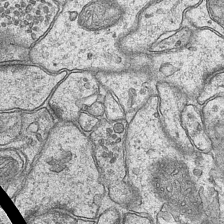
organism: Mouse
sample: CA1 Hippocampus